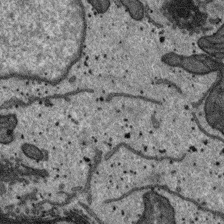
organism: Human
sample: Lung epithelial cells, uninfected (mock) control